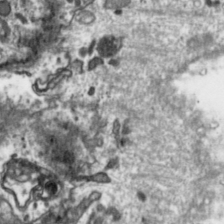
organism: Toxoplasma gondii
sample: Parasites in a vacuole inside a host cell